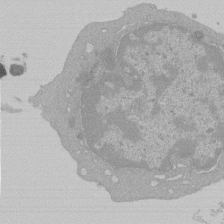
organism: Mouse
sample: Activated Pmel transgenic CD8+ T Cells